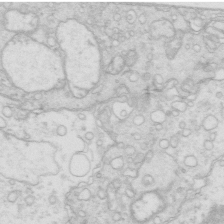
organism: Mouse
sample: Multiciliated cells